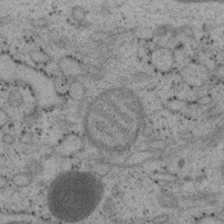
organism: Human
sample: HeLa cells